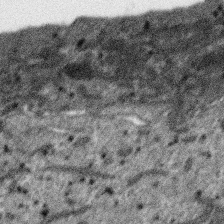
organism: Human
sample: Lung epithelial cells infected with SARS-CoV-2